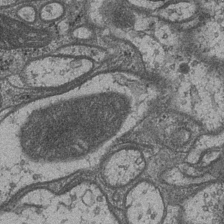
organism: Drosophila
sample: Optic medulla